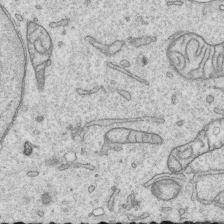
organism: Human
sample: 1205lu cells